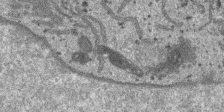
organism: Human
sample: Lung epithelial cells infected with SARS-CoV-2